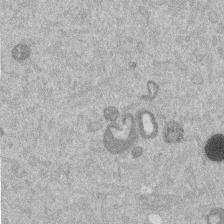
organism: Mouse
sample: Dividing mouse embryo 1 cell stage